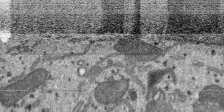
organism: Human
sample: Lung epithelial cells infected with SARS-CoV-2